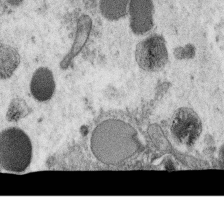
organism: C. elegans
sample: C. elegans oocyte; sperm cells